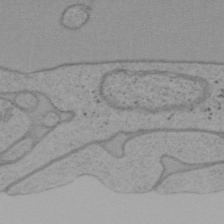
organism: Human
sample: HeLa cells